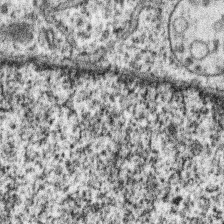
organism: Human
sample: HeLa cells